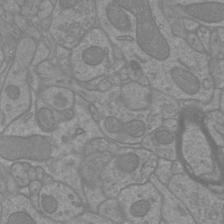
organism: Mouse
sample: Cortical neurons